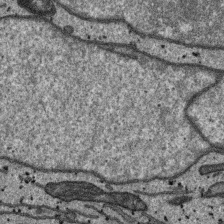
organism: Human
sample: Lung epithelial cells, uninfected (mock) control